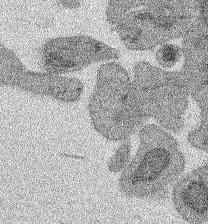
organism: Human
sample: HeLa cells